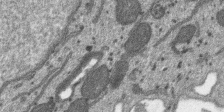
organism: Human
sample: Lung epithelial cells infected with SARS-CoV-2